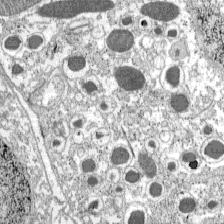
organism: C57BL Mouse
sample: Pancreatic islet